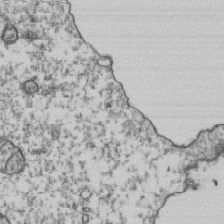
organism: Human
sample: Activated Jurkat CD4+ T cells